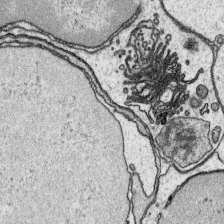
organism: Platynereis dumerilii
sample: Parapodia